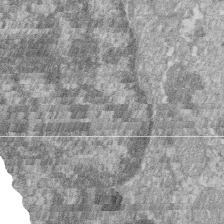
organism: Zebrafish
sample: Cilia; retinal pigment epithelium